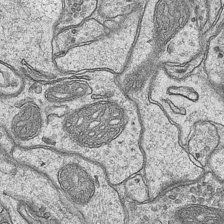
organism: Mouse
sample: CA1 Hippocampus